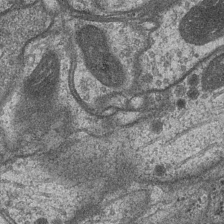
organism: Drosophila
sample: Optic medulla